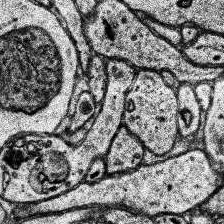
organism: Human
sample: Temporal Lobe